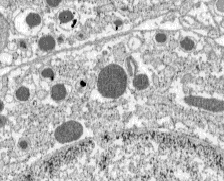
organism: C57BL Mouse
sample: Pancreatic islet